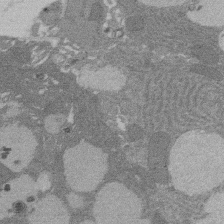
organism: Rat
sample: Salivary granule